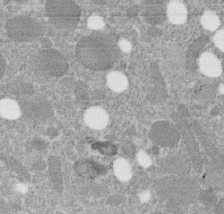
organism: C. elegans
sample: C. elegans embryo early stage